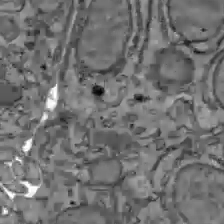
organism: C57BL Mouse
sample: Liver